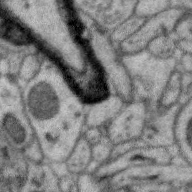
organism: Zebra finch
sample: Brain